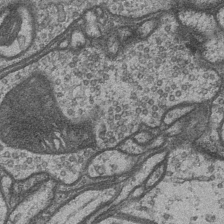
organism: Drosophila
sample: Optic medulla